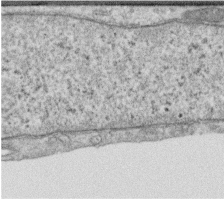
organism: Human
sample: Centriole in RPE cells